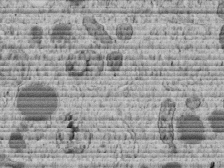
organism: C. elegans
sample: C. elegans embryo early stage